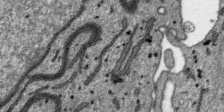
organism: Human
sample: Lung epithelial cells, uninfected (mock) control